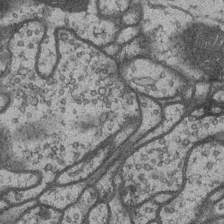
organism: Drosophila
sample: Optic medulla